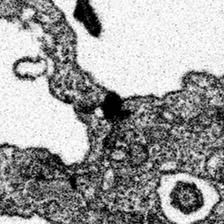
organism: Spongilla lacustris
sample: Neuroid cell